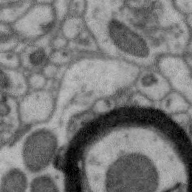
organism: Zebra finch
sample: Brain